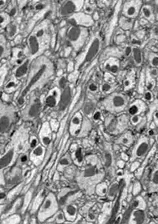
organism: Drosophila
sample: Optic lobe